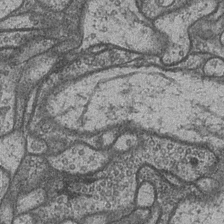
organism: Drosophila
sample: Optic medulla